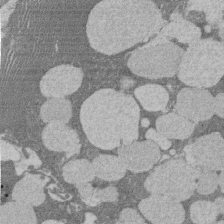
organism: Rat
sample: Salivary granule